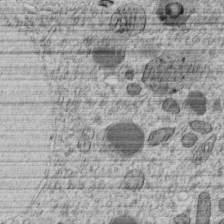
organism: C. elegans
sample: C. elegans embryo early stage